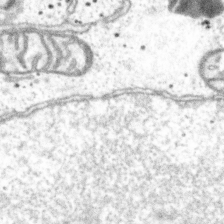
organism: Human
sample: HeLa cells